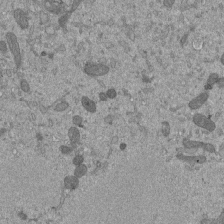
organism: Mouse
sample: ED-1 cell nuclei; centrioles